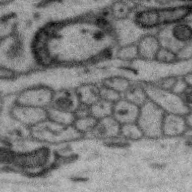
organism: Zebra finch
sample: Brain